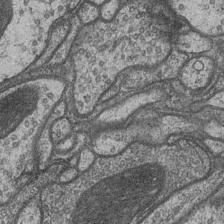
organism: Drosophila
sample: Optic medulla